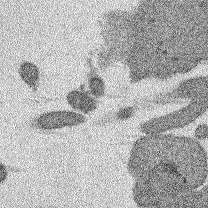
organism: Human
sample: HeLa cells